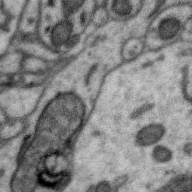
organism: Zebra finch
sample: Brain